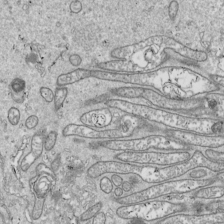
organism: Drosophila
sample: Cell division; meiosis; drosophila spermatocytes